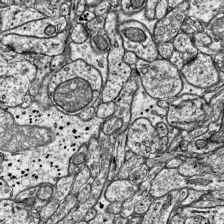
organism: Mouse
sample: Visual Cortex